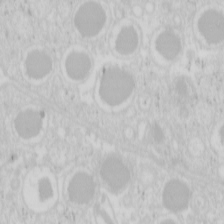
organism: Mouse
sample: Pancreas